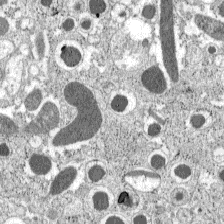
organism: C57BL Mouse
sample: Pancreatic islet